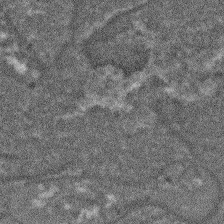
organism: Arabidopsis thaliana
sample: Root tip